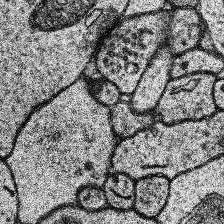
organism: Human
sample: Temporal Lobe